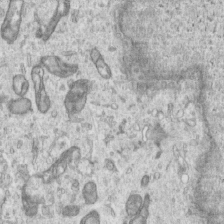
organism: Human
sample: Centriole in RPE cells